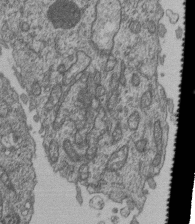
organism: Human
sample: Retinal organoid Rod and Cone cells